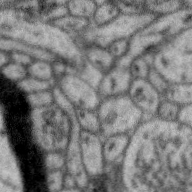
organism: Zebra finch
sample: Brain